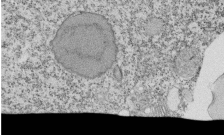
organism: Tetrahymena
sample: Cilia in tetrahymena